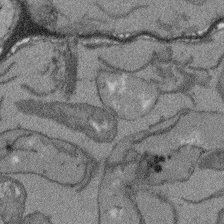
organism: Arabidopsis thaliana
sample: Root tip